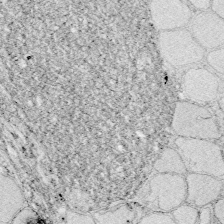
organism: Zebrafish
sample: Whole-Brain